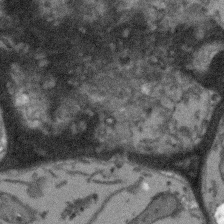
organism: Arabidopsis thaliana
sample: Root tip